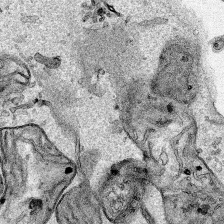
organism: Human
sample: Mitochondria in HCT116 cells